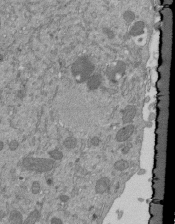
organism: Mouse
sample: ED-1 cell nuclei; centrioles